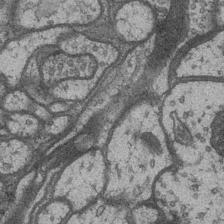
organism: Drosophila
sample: Optic medulla